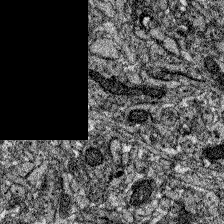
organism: Zebrafish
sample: Larval olfactory bulb